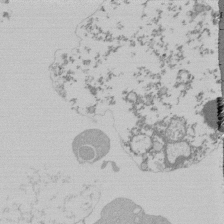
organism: Mouse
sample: Activated Pmel transgenic CD8+ T Cells